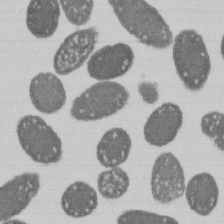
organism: E. coli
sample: Bacterial nucleoid